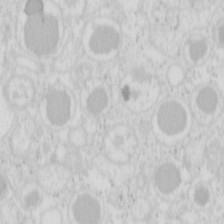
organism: Mouse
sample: Pancreas